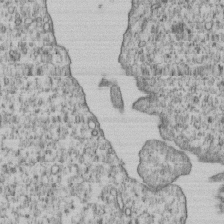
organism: Human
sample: MDA-MB-231 cells